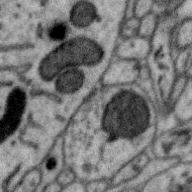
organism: Zebra finch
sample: Brain